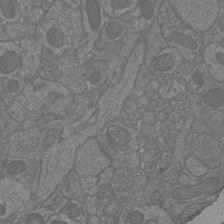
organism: Mouse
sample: Cortical neurons